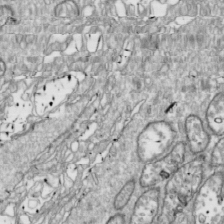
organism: Drosophila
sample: Cell division; meiosis; drosophila spermatocytes